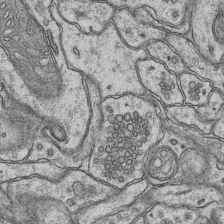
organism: Mouse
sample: CA1 Hippocampus